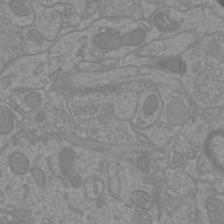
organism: Mouse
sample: Cortical neurons